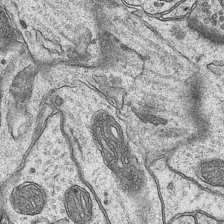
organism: Mouse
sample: CA1 Hippocampus